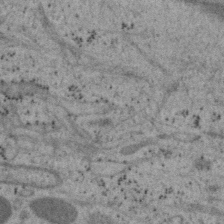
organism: Human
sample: HeLa cells